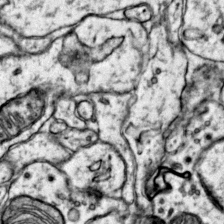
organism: Mouse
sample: Primary visual cortex